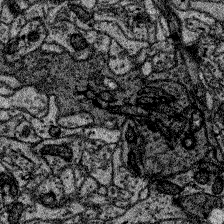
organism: Zebrafish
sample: Larval olfactory bulb